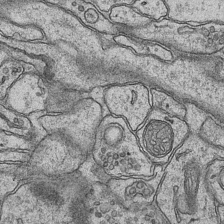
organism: Mouse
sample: CA1 Hippocampus